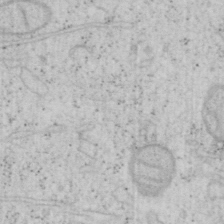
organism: Human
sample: HeLa cells